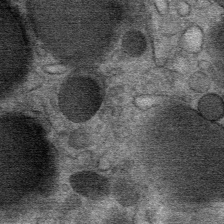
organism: Mouse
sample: Mouse Salivary gland